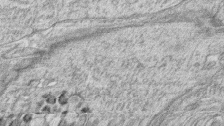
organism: Zebrafish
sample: synaptic ribbons in rod cells and cone cells